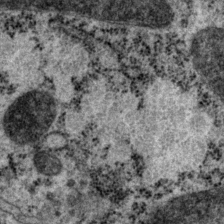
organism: P. pacificus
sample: Pharynx